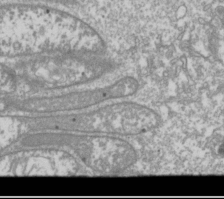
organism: Drosophila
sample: Cell division; meiosis; drosophila spermatocytes